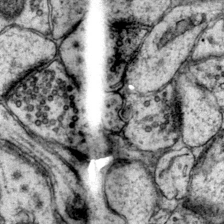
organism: Mouse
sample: Primary visual cortex